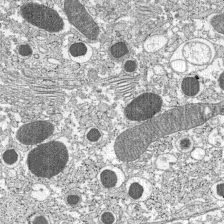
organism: C57BL Mouse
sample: Pancreatic islet